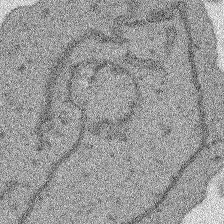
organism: Human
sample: HeLa cells